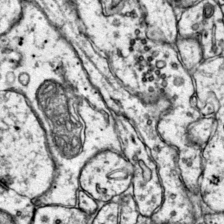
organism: Mouse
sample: Primary visual cortex